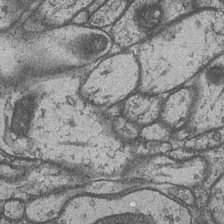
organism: Drosophila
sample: Optic medulla